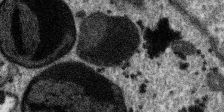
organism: Human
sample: Lung epithelial cells infected with SARS-CoV-2